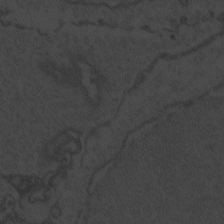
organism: Zebrafish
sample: Macrophage infected with Toxoplasma gondii